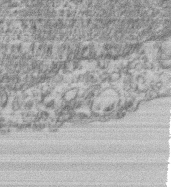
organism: Mouse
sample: T cell stromal cell synapse